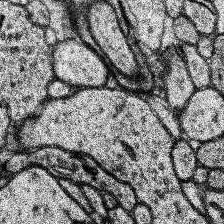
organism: Human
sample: Temporal Lobe